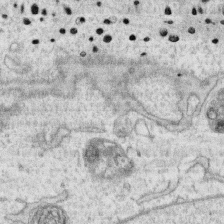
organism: Human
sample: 1205lu cells